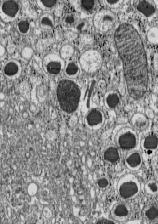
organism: C57BL Mouse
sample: Pancreatic islet